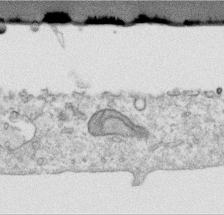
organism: Human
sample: Centriole in RPE cells